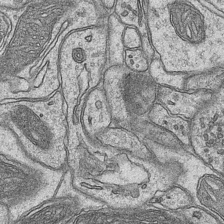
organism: Mouse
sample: CA1 Hippocampus